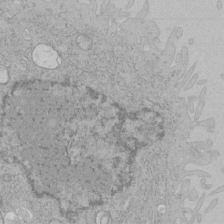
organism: Human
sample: Mitochondria in HCT116 cells